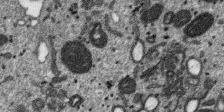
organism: Human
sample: Lung epithelial cells infected with SARS-CoV-2